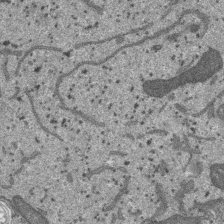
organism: Human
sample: Lung epithelial cells infected with SARS-CoV-2